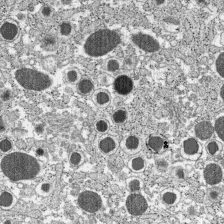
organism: C57BL Mouse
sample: Pancreatic islet